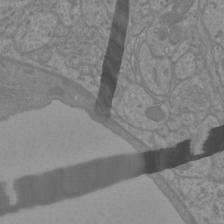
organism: Mouse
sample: Cortical neurons